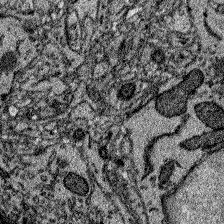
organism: Zebrafish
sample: Larval olfactory bulb